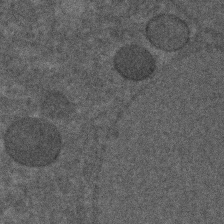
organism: C. elegans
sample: C. elegans embryo